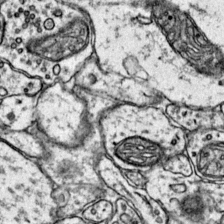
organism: Mouse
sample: Primary visual cortex